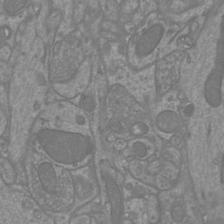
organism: Mouse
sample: Cortical neurons